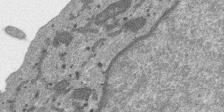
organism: Human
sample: Lung epithelial cells infected with SARS-CoV-2